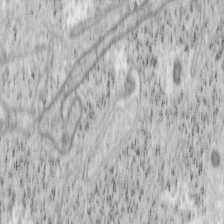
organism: Human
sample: HeLa cells